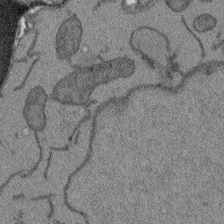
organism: Arabidopsis thaliana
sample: Root tip